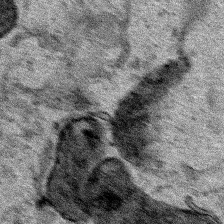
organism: Human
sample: Mitochondria in HCT116 cells